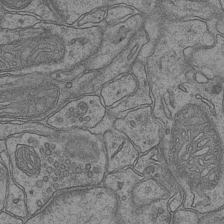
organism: Mouse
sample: CA1 Hippocampus